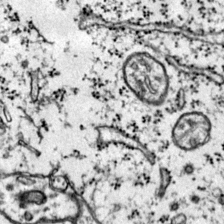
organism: Mouse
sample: Primary visual cortex